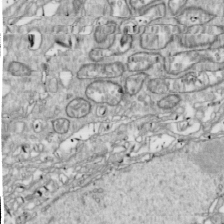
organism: Drosophila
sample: Cell division; meiosis; drosophila spermatocytes